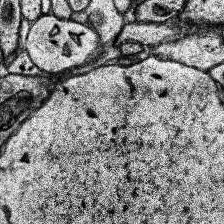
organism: Human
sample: Temporal Lobe